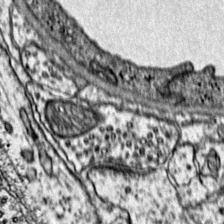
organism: Mouse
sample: Primary visual cortex